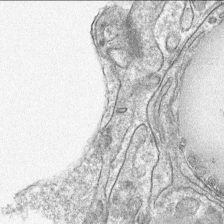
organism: Mouse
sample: Mouse hepatocytes